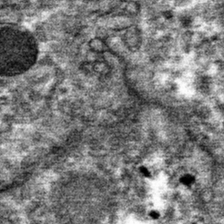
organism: Mouse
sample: Mouse hepatocytes